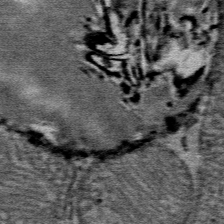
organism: Mouse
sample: Mouse Salivary gland